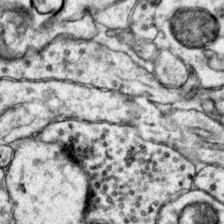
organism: Mouse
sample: Primary visual cortex